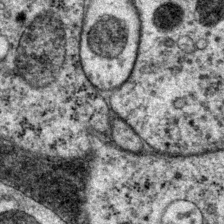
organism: P. pacificus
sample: Pharynx